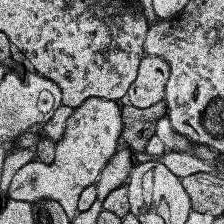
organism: Human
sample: Temporal Lobe